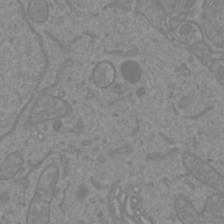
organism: Mouse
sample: Cortical neurons